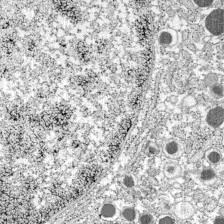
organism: C57BL Mouse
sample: Pancreatic islet